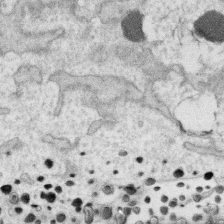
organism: Human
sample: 1205lu cells